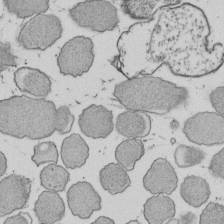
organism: E. coli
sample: Bacterial nucleoid